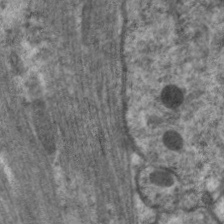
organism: C. elegans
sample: Pharynx